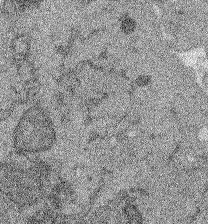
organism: Human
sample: HeLa cells